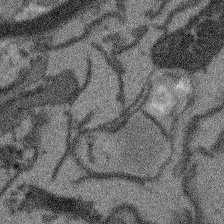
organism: Arabidopsis thaliana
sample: Root tip